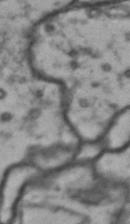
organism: Drosophila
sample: Brain